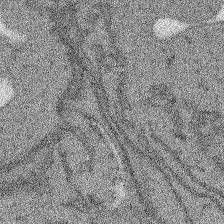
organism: Human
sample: HeLa cells